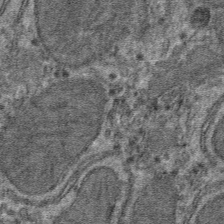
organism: Mouse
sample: Mouse hepatocytes